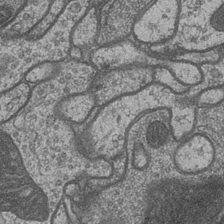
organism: Drosophila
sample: Optic medulla